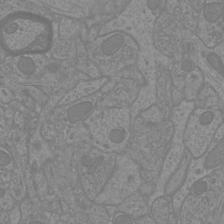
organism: Mouse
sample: Cortical neurons